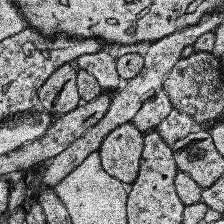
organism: Human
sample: Temporal Lobe